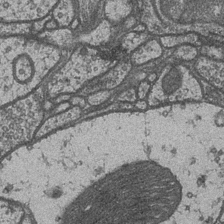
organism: Drosophila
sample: Optic medulla